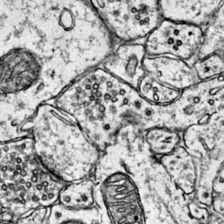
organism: Mouse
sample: Primary visual cortex